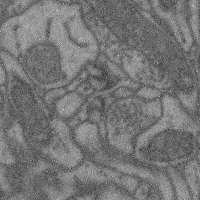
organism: Mouse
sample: Cerebral cortex